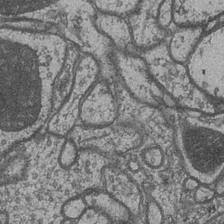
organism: Drosophila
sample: Optic medulla